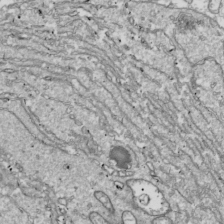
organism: Drosophila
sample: Cell division; meiosis; drosophila spermatocytes